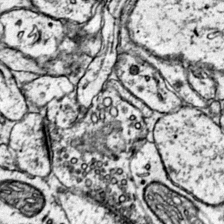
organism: Mouse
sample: Primary visual cortex